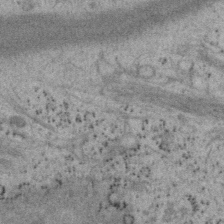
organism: Human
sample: HeLa cells